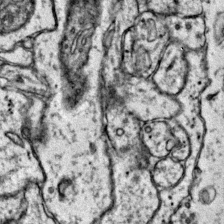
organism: Mouse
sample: Primary visual cortex